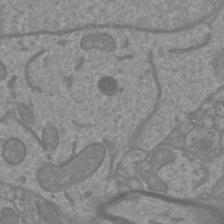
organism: Mouse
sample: Cortical neurons